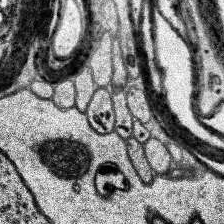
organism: Human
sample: Temporal Lobe